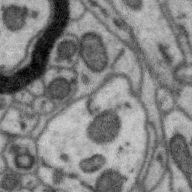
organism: Zebra finch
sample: Brain